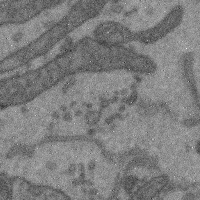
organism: Mouse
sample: Cerebral cortex